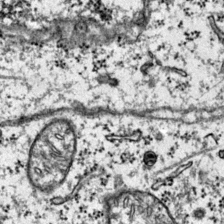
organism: Mouse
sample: Primary visual cortex